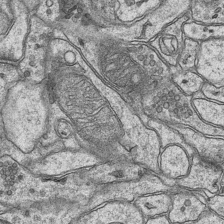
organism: Mouse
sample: CA1 Hippocampus